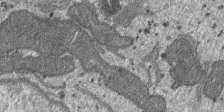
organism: Human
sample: Lung epithelial cells infected with SARS-CoV-2